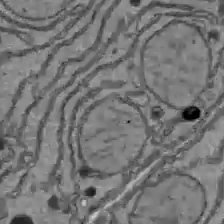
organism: C57BL Mouse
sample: Liver